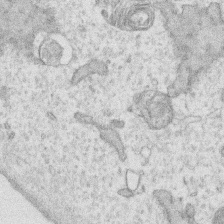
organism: Human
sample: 1205lu cells